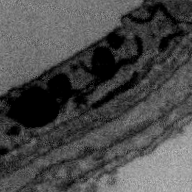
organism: Zebra finch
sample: Brain